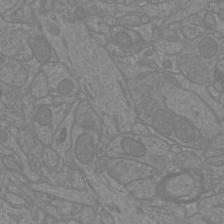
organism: Mouse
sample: Cortical neurons